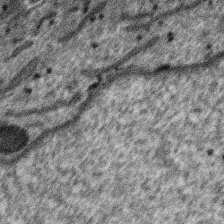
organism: Human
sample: Lung epithelial cells infected with SARS-CoV-2